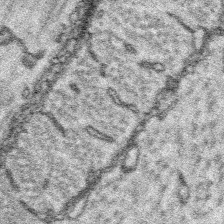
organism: Platynereis dumerilii